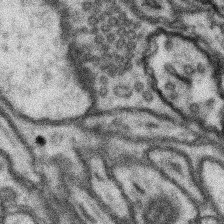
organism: Mouse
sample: Somatosensory cortex neuropil